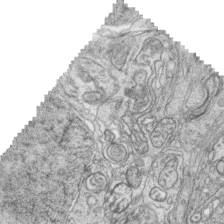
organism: Zebrafish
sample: synaptic ribbons in rod cells and cone cells